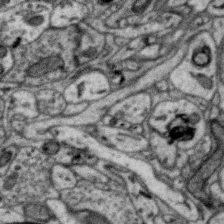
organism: Zebra finch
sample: Brain